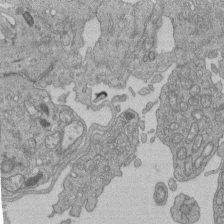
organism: Human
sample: Retinal organoid Rod and Cone cells